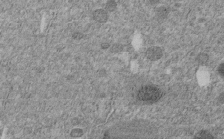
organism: C. elegans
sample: C. elegans embryo early stage